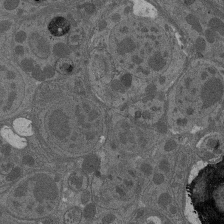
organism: Drosophila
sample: Antenna